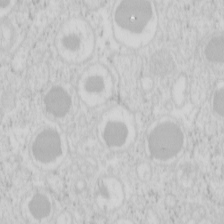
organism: Mouse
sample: Pancreas